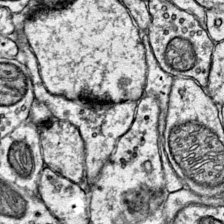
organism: Mouse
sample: Primary visual cortex